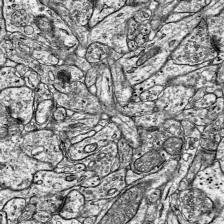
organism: Mouse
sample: Visual Cortex